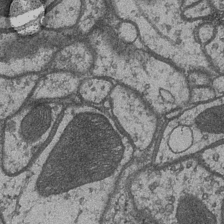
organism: Drosophila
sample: Optic medulla